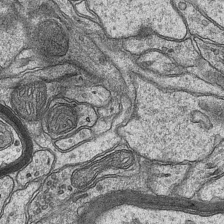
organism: Mouse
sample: CA1 Hippocampus